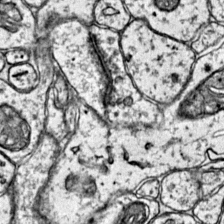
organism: Mouse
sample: Primary visual cortex